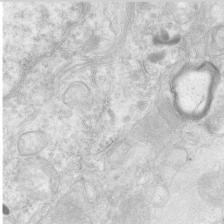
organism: Human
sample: Neocortex